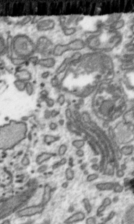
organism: Toxoplasma gondii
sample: Parasites in a vacuole inside a host cell